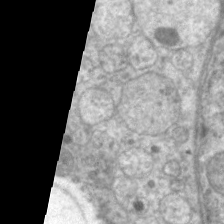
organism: C. elegans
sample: Pharynx